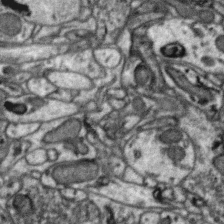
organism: Zebra finch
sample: Brain